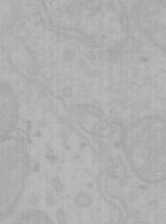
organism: Mouse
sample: Choroid plexus